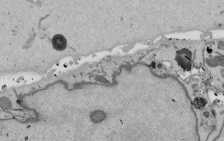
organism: Mouse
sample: ED-1 cell nuclei; centrioles